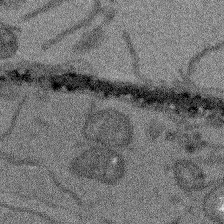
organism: Arabidopsis thaliana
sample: Root tip